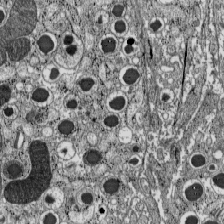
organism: C57BL Mouse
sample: Pancreatic islet